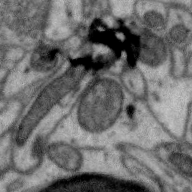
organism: Zebra finch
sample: Brain